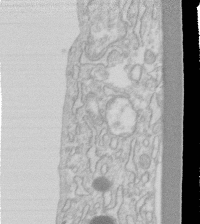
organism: Human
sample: Fibroblast cells